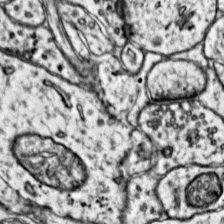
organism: Mouse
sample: Primary visual cortex